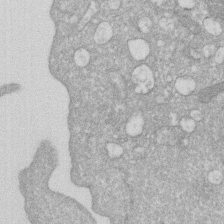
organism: Human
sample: HIV infected U937 cells